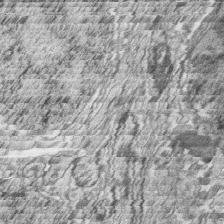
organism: Zebrafish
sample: synaptic ribbons in rod cells and cone cells